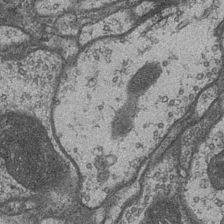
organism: Drosophila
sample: Optic medulla